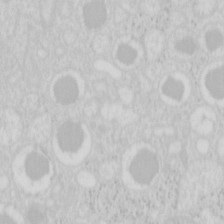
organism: Mouse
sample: Pancreas